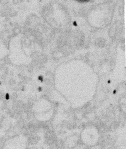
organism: Mouse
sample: T cell stromal cell synapse